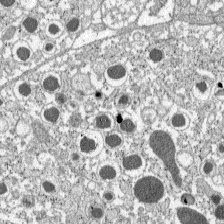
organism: C57BL Mouse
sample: Pancreatic islet